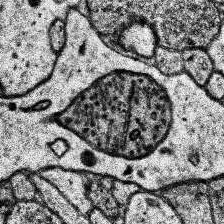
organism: Human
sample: Temporal Lobe